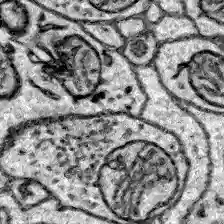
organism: Zebrafish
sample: Brain